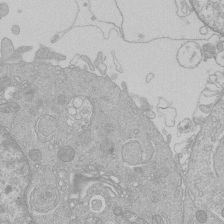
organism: Human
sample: Macrophage cells